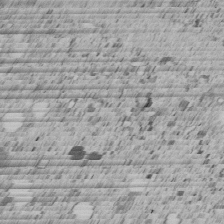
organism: C. elegans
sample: C. elegans embryo early stage